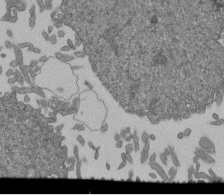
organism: Human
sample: Retinal organoid Rod and Cone cells